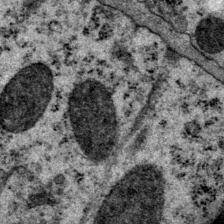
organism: P. pacificus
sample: Pharynx